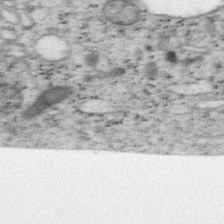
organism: Mouse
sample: OT-I killer T cells with ID8 ovarian cancer cells